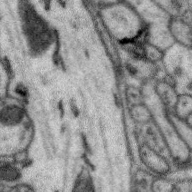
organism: Zebra finch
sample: Brain